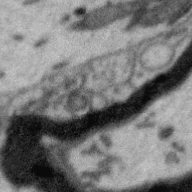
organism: Zebra finch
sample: Brain